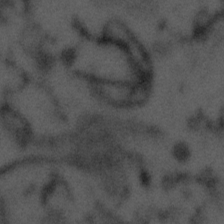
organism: Tuwongella immobilis